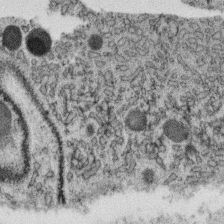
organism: C. elegans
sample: C. elegans oocyte; sperm cells